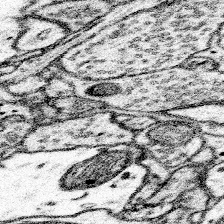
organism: Mouse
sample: Somatosensory cortex neuropil